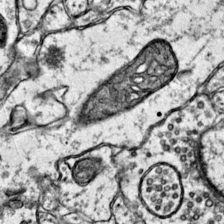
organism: Mouse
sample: Primary visual cortex